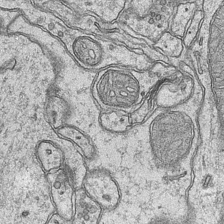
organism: Mouse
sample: CA1 Hippocampus